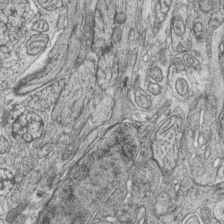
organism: Zebrafish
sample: synaptic ribbons in rod cells and cone cells